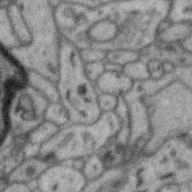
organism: Zebra finch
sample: Brain